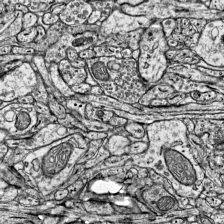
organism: Mouse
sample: Visual Cortex